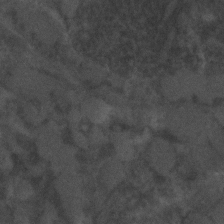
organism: C. elegans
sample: C. elegans embryo